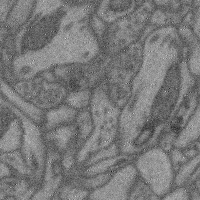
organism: Mouse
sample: Cerebral cortex